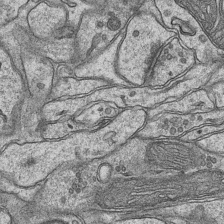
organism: Mouse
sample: CA1 Hippocampus